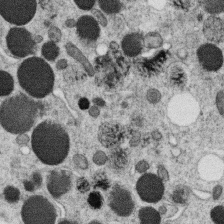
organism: C. elegans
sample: C. elegans oocyte; sperm cells